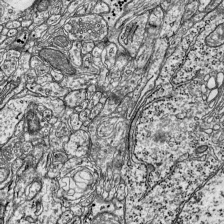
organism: Mouse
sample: Visual Cortex